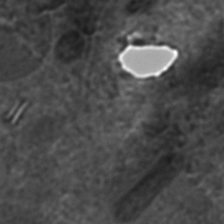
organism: C. elegans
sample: C. elegans embryo